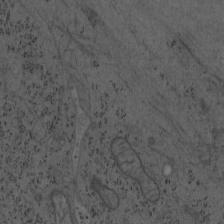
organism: Mouse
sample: OT-I killer T cells with ID8 ovarian cancer cells